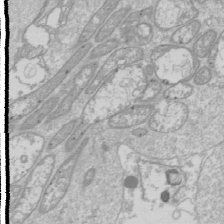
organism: Drosophila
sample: Cell division; meiosis; drosophila spermatocytes